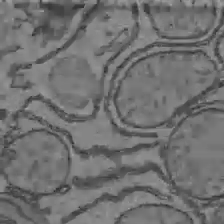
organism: C57BL Mouse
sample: Liver